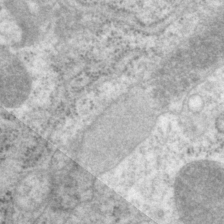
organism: P. pacificus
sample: Pharynx